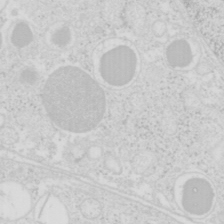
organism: Mouse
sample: Pancreas